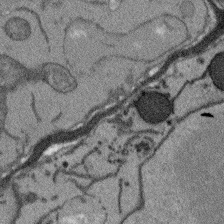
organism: Arabidopsis thaliana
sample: Root tip